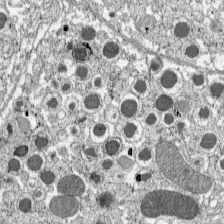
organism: C57BL Mouse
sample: Pancreatic islet